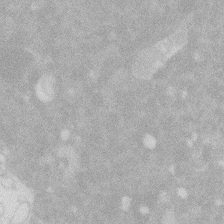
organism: Zebrafish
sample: Macrophage